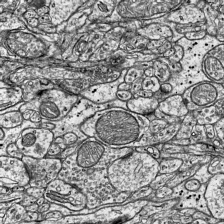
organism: Mouse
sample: Visual Cortex